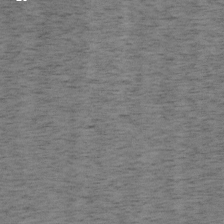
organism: Mouse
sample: OT-I killer T cells with ID8 ovarian cancer cells